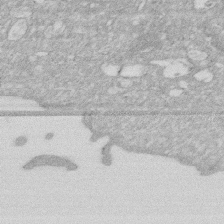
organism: Human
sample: HIV infected U937 cells